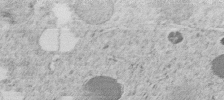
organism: C. elegans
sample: C. elegans embryo early stage